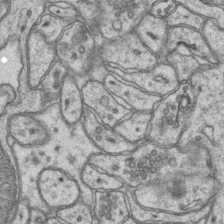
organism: Mouse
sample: CA1 Hippocampus